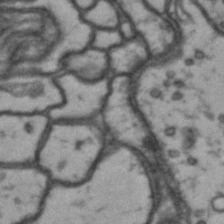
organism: Drosophila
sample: Brain